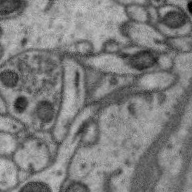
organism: Zebra finch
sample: Brain